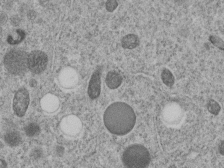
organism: C. elegans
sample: C. elegans embryo early stage